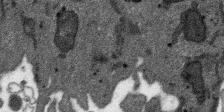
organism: Human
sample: Lung epithelial cells infected with SARS-CoV-2